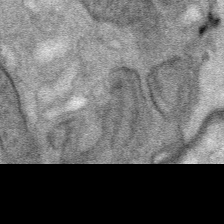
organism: Mouse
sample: Mouse Salivary gland